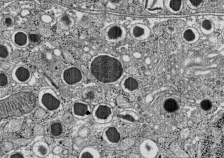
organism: C57BL Mouse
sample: Pancreatic islet